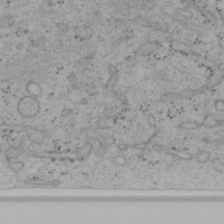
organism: Human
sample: HeLa cells